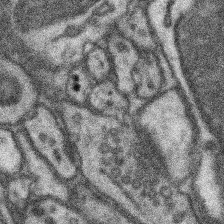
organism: Mouse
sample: Somatosensory cortex neuropil